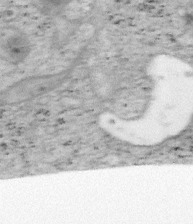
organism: Mouse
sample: OT-I killer T cells with ID8 ovarian cancer cells